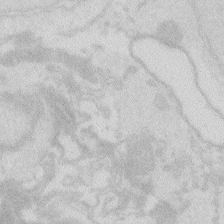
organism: Zebrafish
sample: Macrophage